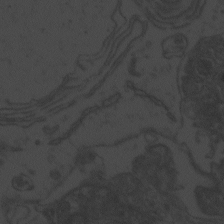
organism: Zebrafish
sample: Macrophage infected with Toxoplasma gondii